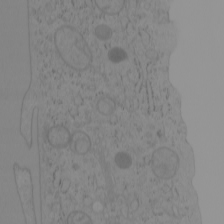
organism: Human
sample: HeLa cells